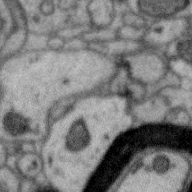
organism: Zebra finch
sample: Brain